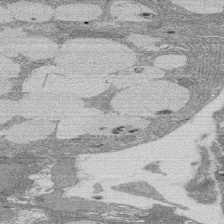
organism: Rat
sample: Salivary granule